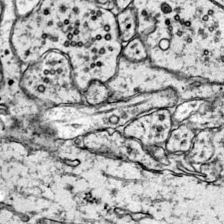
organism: Mouse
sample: Primary visual cortex